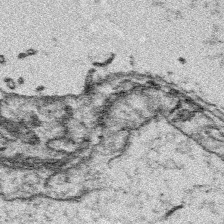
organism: Platynereis dumerilii